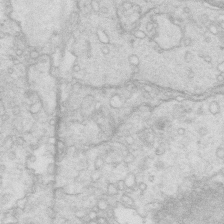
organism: Mouse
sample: Multiciliated cells